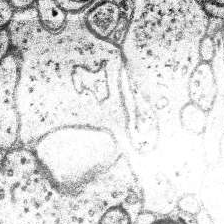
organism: Human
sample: Temporal Lobe